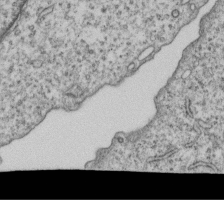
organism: Human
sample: MDA-MB-231 cells